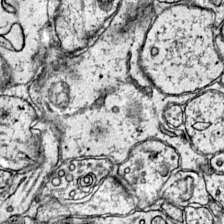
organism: Mouse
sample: Primary visual cortex